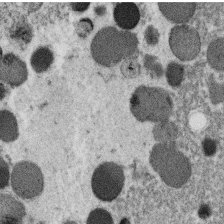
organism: C. elegans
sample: C. elegans oocyte; sperm cells